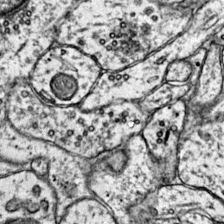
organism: Mouse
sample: Primary visual cortex